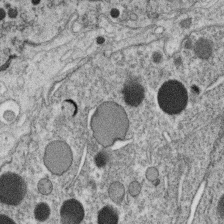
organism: C. elegans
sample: C. elegans oocyte; sperm cells